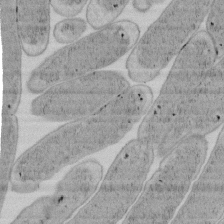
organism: E. coli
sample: Bacterial nucleoid